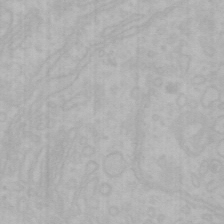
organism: Mouse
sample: Choroid plexus